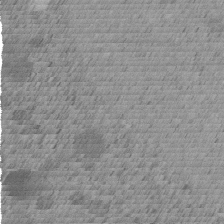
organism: C. elegans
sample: C. elegans embryo early stage